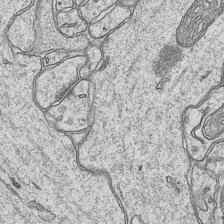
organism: Mouse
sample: CA1 Hippocampus